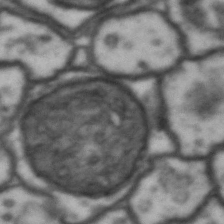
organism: Drosophila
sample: Brain